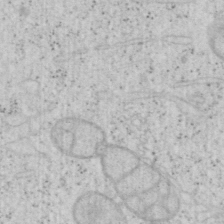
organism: Human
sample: HeLa cells